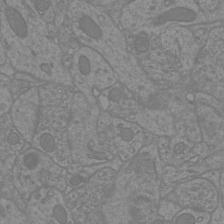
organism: Mouse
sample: Cortical neurons